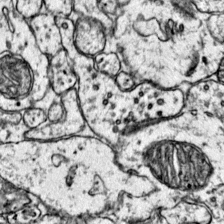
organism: Mouse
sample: Primary visual cortex